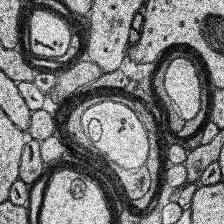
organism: Human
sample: Temporal Lobe